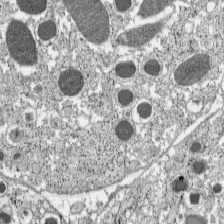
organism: C57BL Mouse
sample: Pancreatic islet